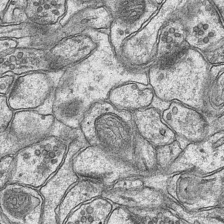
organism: Mouse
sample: CA1 Hippocampus